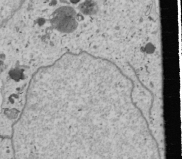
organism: Human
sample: Mitochondria in U2OS cells